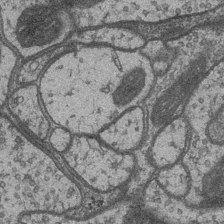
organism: Drosophila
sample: Optic medulla